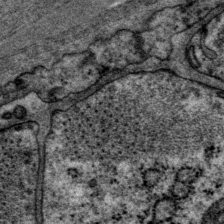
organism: P. pacificus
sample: Pharynx